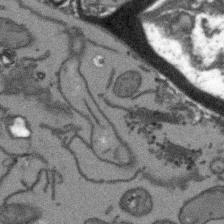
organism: Arabidopsis thaliana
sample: Root tip